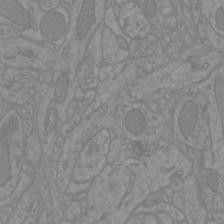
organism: Mouse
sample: Cortical neurons